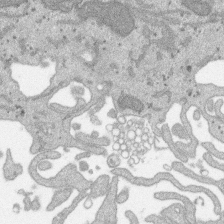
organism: Human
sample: Lung epithelial cells infected with SARS-CoV-2